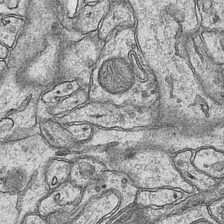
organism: Mouse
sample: CA1 Hippocampus